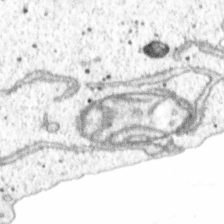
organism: Human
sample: HeLa cells